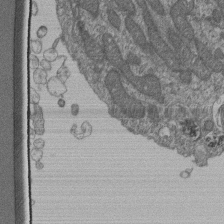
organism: Human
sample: Retinal organoid Rod and Cone cells